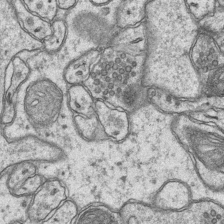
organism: Mouse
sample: CA1 Hippocampus